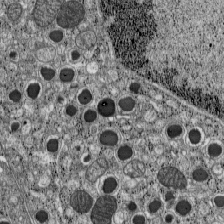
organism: C57BL Mouse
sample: Pancreatic islet